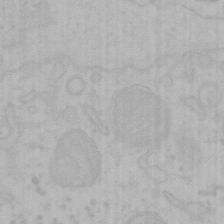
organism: Mouse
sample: Choroid plexus